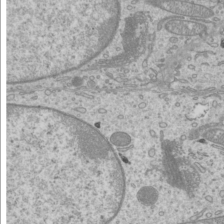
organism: Mouse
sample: Cilia; mouse epididymis